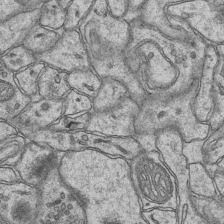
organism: Mouse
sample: CA1 Hippocampus